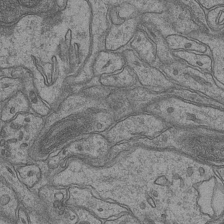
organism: Mouse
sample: CA1 Hippocampus